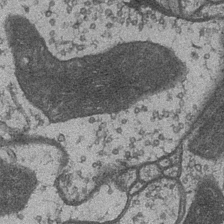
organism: Drosophila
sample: Optic medulla